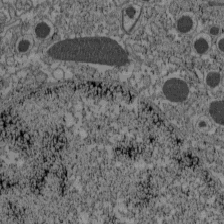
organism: C57BL Mouse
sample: Pancreatic islet